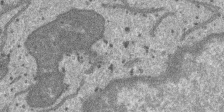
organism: Human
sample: Lung epithelial cells infected with SARS-CoV-2